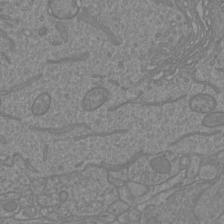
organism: Mouse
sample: Cortical neurons